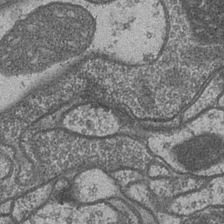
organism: Drosophila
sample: Optic medulla